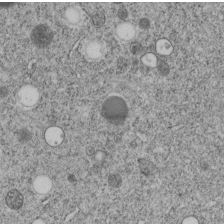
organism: C. elegans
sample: C. elegans embryo early stage